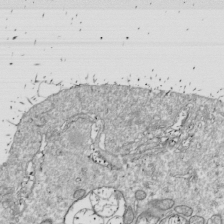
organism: Drosophila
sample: Cell division; meiosis; drosophila spermatocytes